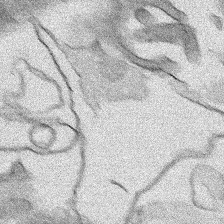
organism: Human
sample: Mitochondria in HCT116 cells